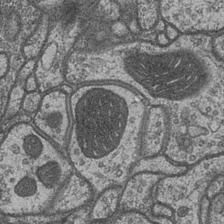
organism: Drosophila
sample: Optic medulla